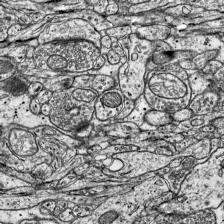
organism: Mouse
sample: Visual Cortex